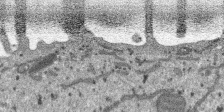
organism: Human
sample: Lung epithelial cells infected with SARS-CoV-2